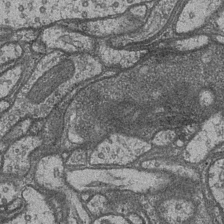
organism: Drosophila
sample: Optic medulla